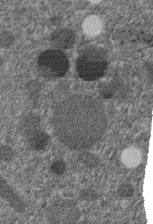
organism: C. elegans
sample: C. elegans embryo early stage